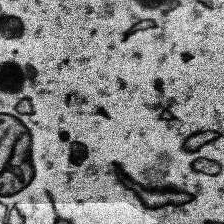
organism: Human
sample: Temporal Lobe